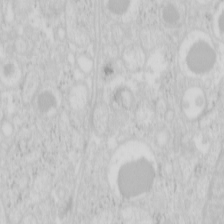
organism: Mouse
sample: Pancreas